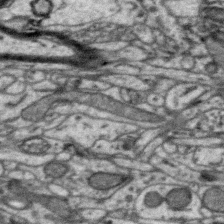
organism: Zebra finch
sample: Brain